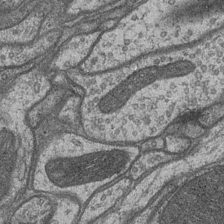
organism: Drosophila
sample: Optic medulla